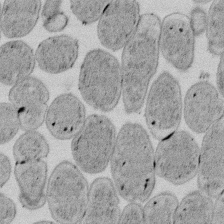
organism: E. coli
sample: Bacterial nucleoid